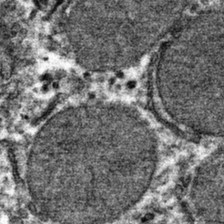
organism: Mouse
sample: Mouse hepatocytes